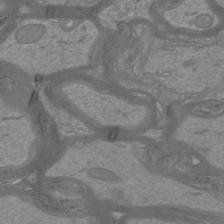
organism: Mouse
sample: Cortical neurons